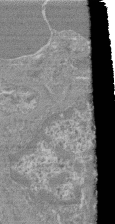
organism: Mouse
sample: Glomerulus